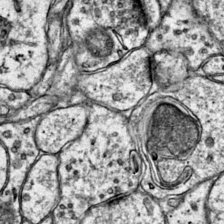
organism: Mouse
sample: Primary visual cortex